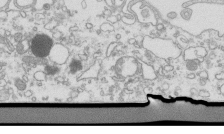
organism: Mouse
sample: Macrophages